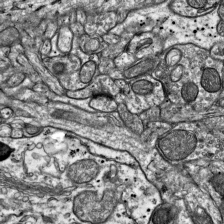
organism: Mouse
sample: Visual Cortex